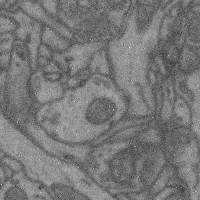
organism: Mouse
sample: Cerebral cortex